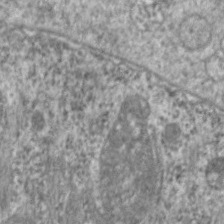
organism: C. elegans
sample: Pharynx